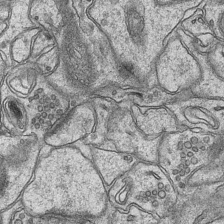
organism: Mouse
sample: CA1 Hippocampus